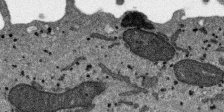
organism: Human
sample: Lung epithelial cells, uninfected (mock) control